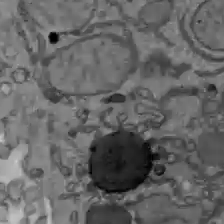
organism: C57BL Mouse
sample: Liver